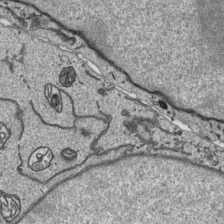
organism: Human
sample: Mitochondria in HCT116 cells